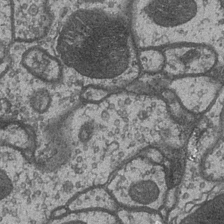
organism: Drosophila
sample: Optic medulla